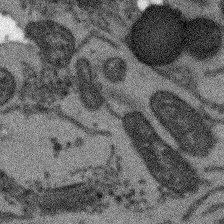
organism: Arabidopsis thaliana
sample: Root tip